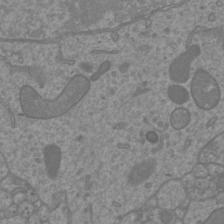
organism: Mouse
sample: Cortical neurons